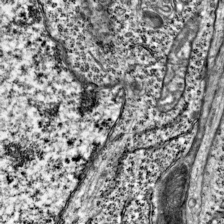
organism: Mouse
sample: Visual Cortex